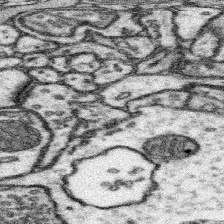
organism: Mouse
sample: Somatosensory cortex neuropil